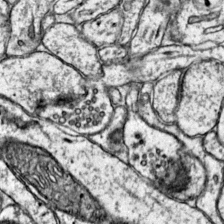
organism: Mouse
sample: Primary visual cortex